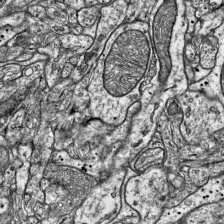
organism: Mouse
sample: Visual Cortex